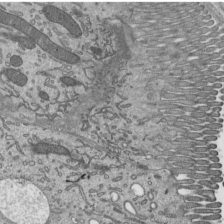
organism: Mouse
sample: Mouse epididymis efferent ductule cilia